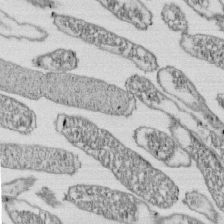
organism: E. coli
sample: Bacterial nucleoid